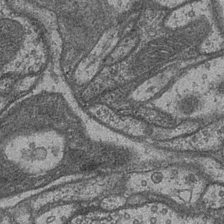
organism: Drosophila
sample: Optic medulla